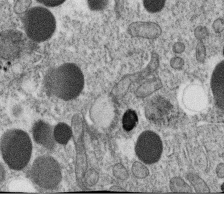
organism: C. elegans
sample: C. elegans oocyte; sperm cells